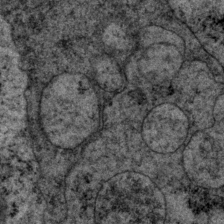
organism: P. pacificus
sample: Pharynx